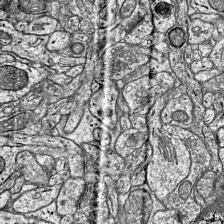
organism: Mouse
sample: Visual Cortex